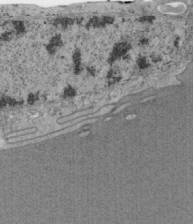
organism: Human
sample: HeLa cells